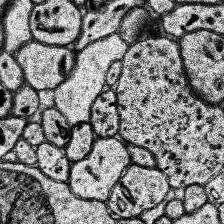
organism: Human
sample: Temporal Lobe